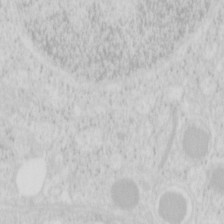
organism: Mouse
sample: Pancreas